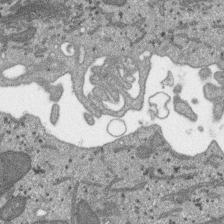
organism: Human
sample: Lung epithelial cells infected with SARS-CoV-2